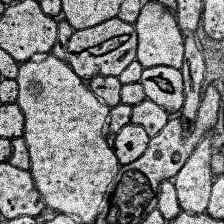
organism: Human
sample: Temporal Lobe